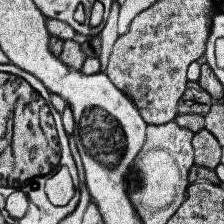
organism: Human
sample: Temporal Lobe